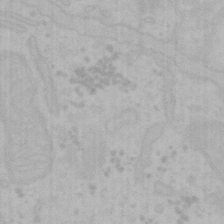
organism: Mouse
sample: Choroid plexus